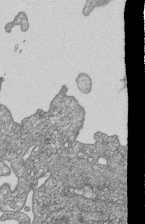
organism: Human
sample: MDA-MB-231 cells